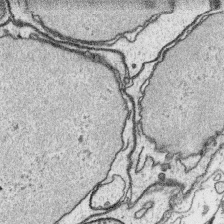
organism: Platynereis dumerilii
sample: Parapodia